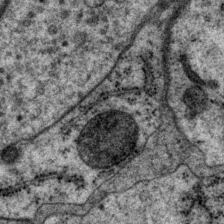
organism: P. pacificus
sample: Pharynx